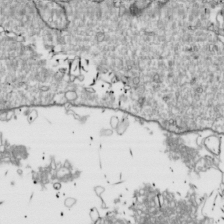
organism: Drosophila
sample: Cell division; meiosis; drosophila spermatocytes